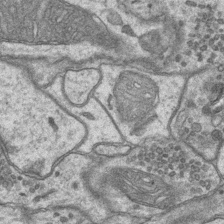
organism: Mouse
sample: CA1 Hippocampus